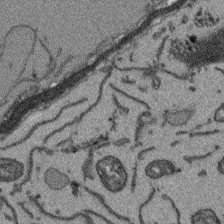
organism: Arabidopsis thaliana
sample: Root tip